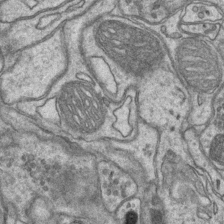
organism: Mouse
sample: CA1 Hippocampus